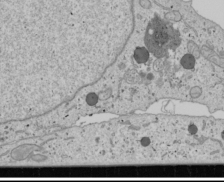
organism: Human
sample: Mitochondria in U2OS cells